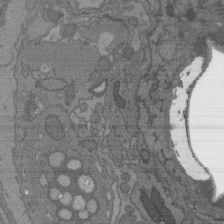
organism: C. elegans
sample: AFD neurons C. elegans